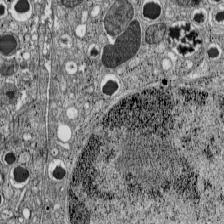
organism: C57BL Mouse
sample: Pancreatic islet